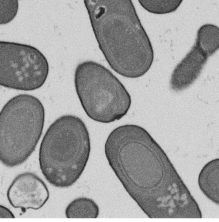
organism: B. subtilis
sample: Bacterial spore